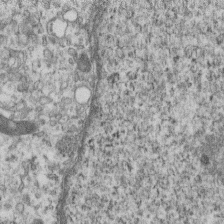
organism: Mouse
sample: Centriole in ependymal cells